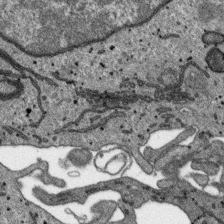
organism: Human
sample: Lung epithelial cells, uninfected (mock) control